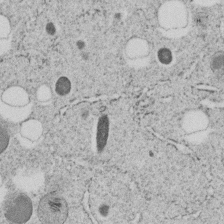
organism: C. elegans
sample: C. elegans embryo early stage